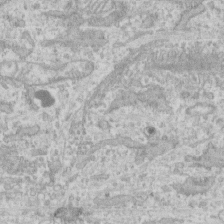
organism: Human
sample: CRL-1474